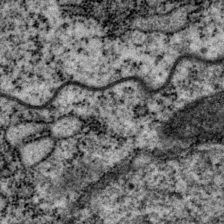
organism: P. pacificus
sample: Pharynx